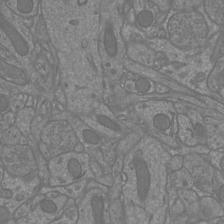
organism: Mouse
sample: Cortical neurons